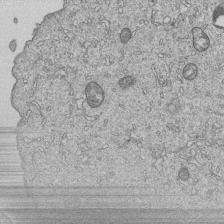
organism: Human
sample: MDA-MB-231 cells